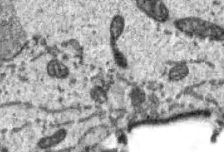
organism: Human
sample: HeLa cells